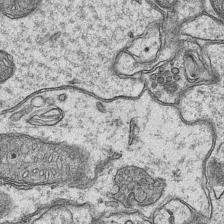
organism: Mouse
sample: CA1 Hippocampus